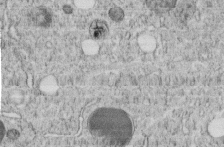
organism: C. elegans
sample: C. elegans embryo early stage